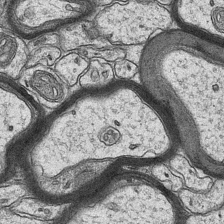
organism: Mouse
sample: CA1 Hippocampus